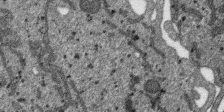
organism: Human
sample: Lung epithelial cells infected with SARS-CoV-2